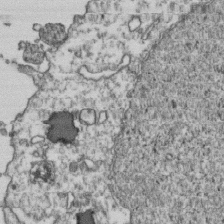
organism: Human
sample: Activated Jurkat CD4+ T cells